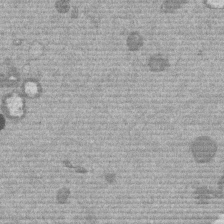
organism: Mouse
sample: Dividing mouse embryo 1 cell stage